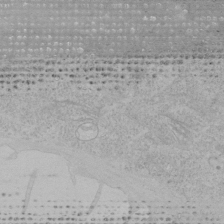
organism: Human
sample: Mitochondria in HCT116 cells